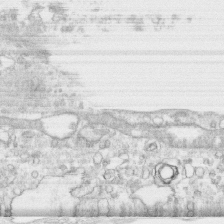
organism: Human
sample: CRL-1474